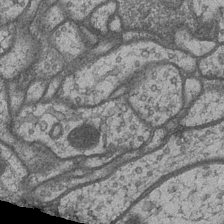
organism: Drosophila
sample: Optic medulla